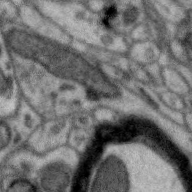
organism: Zebra finch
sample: Brain